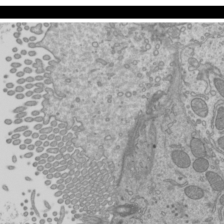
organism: Mouse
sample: Cilia; mouse epididymis